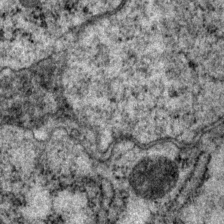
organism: P. pacificus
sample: Pharynx